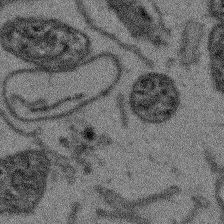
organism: Arabidopsis thaliana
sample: Root tip